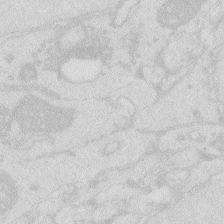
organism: Zebrafish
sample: Macrophage